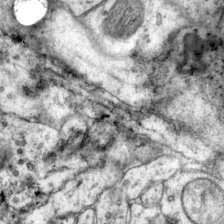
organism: Mouse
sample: Primary visual cortex